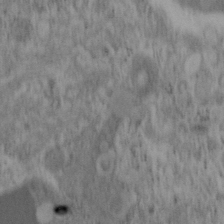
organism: Mouse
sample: OT-I killer T cells with ID8 ovarian cancer cells